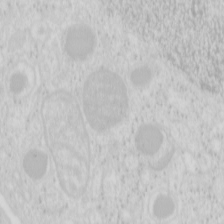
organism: Mouse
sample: Pancreas